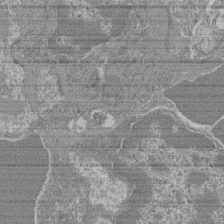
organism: Mouse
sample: Glomerulus